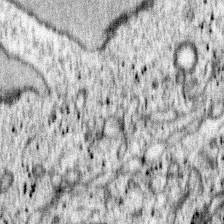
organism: Human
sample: HeLa cells